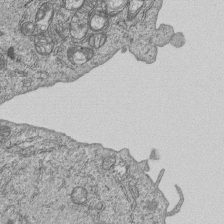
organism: Human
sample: MDA-MB-231 cells